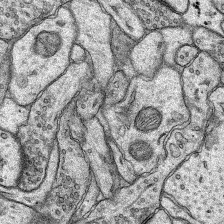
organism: Rat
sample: Hippocampus